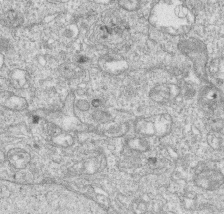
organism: Human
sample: HeLa cell HIV synapse